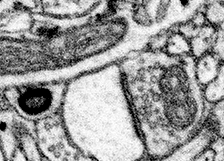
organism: Mouse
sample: Somatosensory cortex neuropil